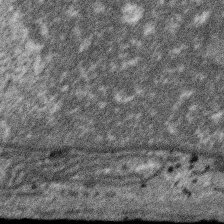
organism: Human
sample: Lung epithelial cells infected with SARS-CoV-2